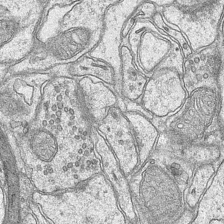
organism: Mouse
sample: CA1 Hippocampus